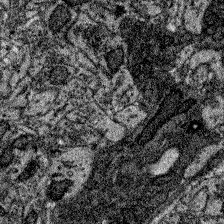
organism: Zebrafish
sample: Larval olfactory bulb